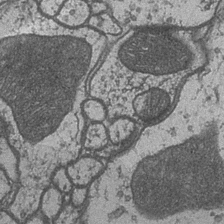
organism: Drosophila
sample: Optic medulla